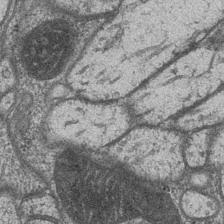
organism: Drosophila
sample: Optic medulla